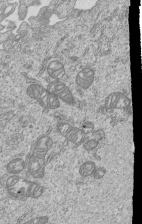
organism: Human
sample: MDA-MB-231 cells